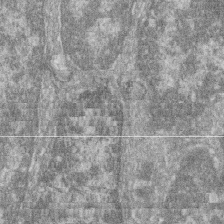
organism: Zebrafish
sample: Cilia; retinal pigment epithelium